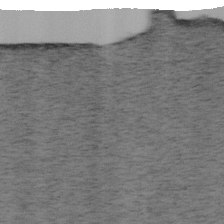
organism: Mouse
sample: OT-I killer T cells with ID8 ovarian cancer cells